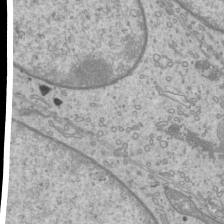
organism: Mouse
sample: Cilia; mouse epididymis